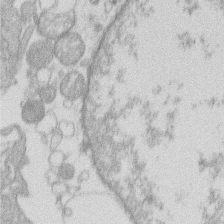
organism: Human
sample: Macrophage cells